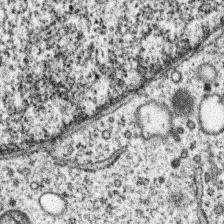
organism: Human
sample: HeLa cells